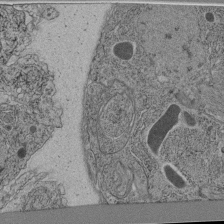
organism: C. elegans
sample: C. elegans pharynx